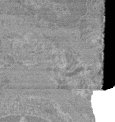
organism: Mouse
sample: Glomerulus